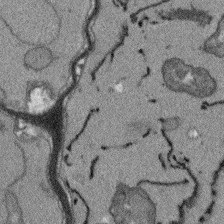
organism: Arabidopsis thaliana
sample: Root tip